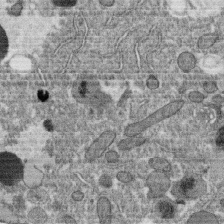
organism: C. elegans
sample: C. elegans oocyte; sperm cells